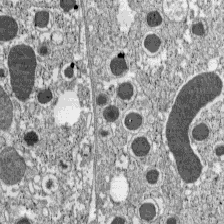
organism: C57BL Mouse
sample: Pancreatic islet